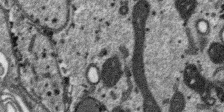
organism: Human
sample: Lung epithelial cells infected with SARS-CoV-2